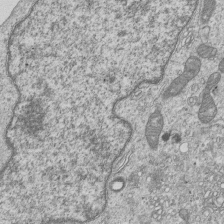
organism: Human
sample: MDA-MB-231 cells